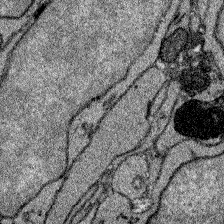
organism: Zebrafish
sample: Larval olfactory bulb